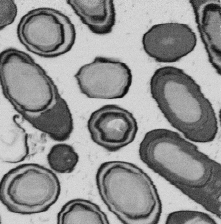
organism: B. subtilis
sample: Bacterial spore